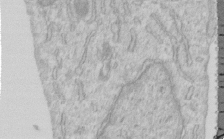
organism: Human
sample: Centriole in RPE cells